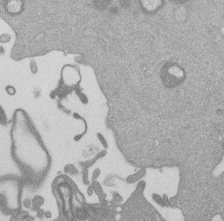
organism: Mouse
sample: Dividing mouse embryo 1 cell stage